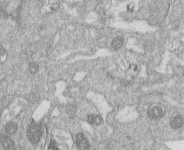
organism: Human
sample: Macrophage cells